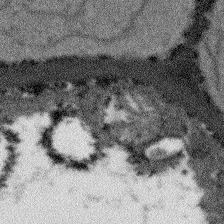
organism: Arabidopsis thaliana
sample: Root tip